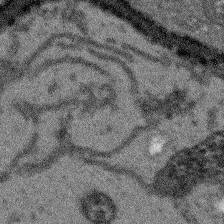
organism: Arabidopsis thaliana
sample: Root tip